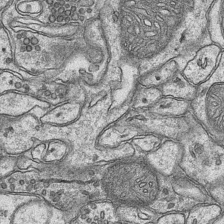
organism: Mouse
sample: CA1 Hippocampus